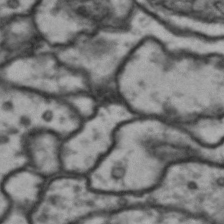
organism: Drosophila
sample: Brain